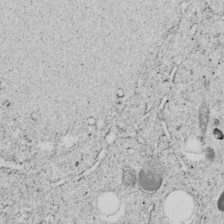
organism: C. elegans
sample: C. elegans embryo early stage